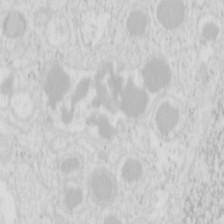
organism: Mouse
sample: Pancreas